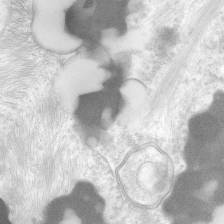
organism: Human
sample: Neocortex